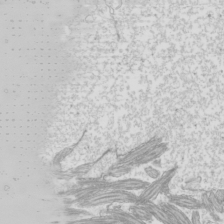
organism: Mouse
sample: Cilia; mouse epididymis